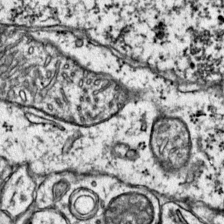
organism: Mouse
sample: Primary visual cortex